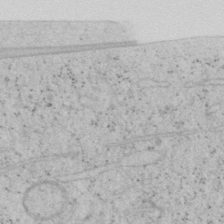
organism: Human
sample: HeLa cells